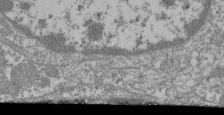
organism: Mouse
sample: Glomerulus